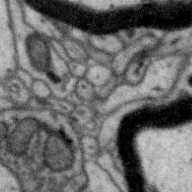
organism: Zebra finch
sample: Brain